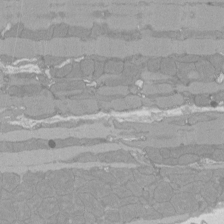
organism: Rat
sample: Left ventricle